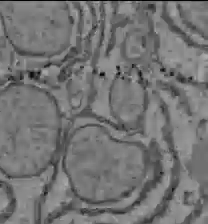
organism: C57BL Mouse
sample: Liver